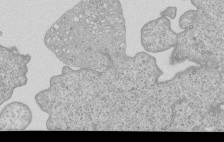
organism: Human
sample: MDA-MB-231 cells